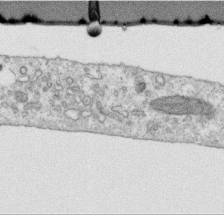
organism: Human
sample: Centriole in RPE cells